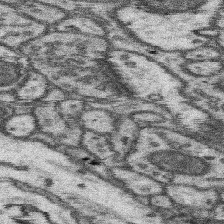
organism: Mouse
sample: Somatosensory cortex neuropil